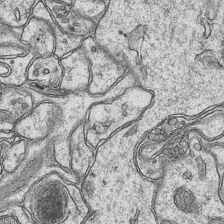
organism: Mouse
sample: CA1 Hippocampus